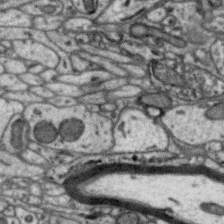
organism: Zebra finch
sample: Brain